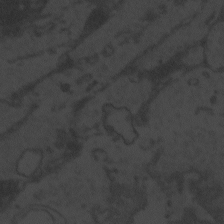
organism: Zebrafish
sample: Macrophage infected with Toxoplasma gondii